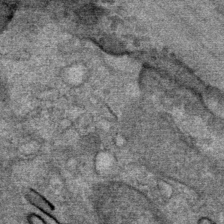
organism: Mouse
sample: Mouse Salivary gland